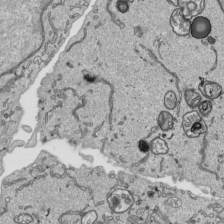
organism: Human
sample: Mitochondria in HCT116 cells